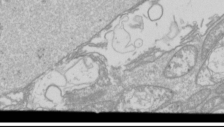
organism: Drosophila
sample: Cell division; meiosis; drosophila spermatocytes